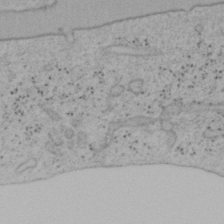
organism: Human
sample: HeLa cells